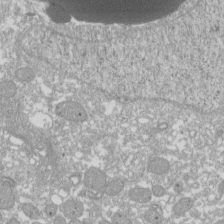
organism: Xenopus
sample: Cilia; centrioles in frog embryo cells